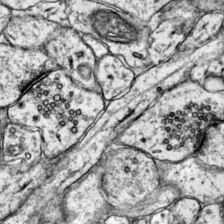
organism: Mouse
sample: Primary visual cortex